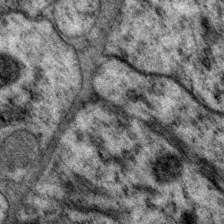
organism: P. pacificus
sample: Pharynx